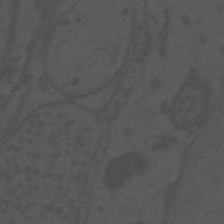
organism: Mouse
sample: Suprachiasmatic nucleus